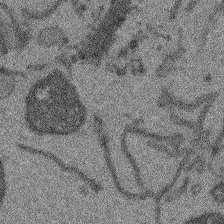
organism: Arabidopsis thaliana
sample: Root tip